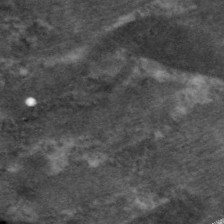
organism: C. elegans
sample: Pharynx